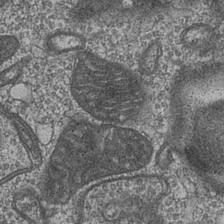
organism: Drosophila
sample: Optic medulla